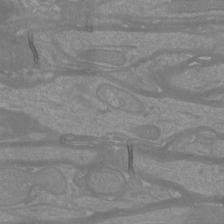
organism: Mouse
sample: Cortical neurons